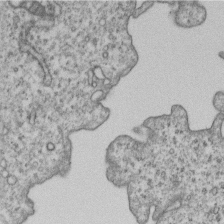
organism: Human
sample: MDA-MB-231 cells